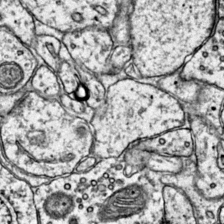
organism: Mouse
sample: Primary visual cortex